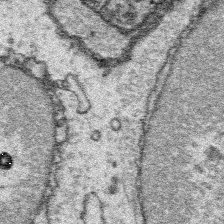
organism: Platynereis dumerilii